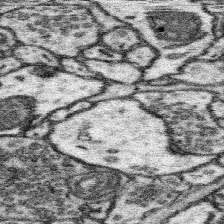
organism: Mouse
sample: Somatosensory cortex neuropil